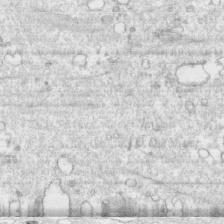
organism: Human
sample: CRL-1474